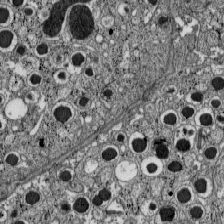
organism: C57BL Mouse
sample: Pancreatic islet